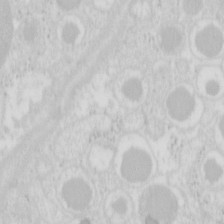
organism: Mouse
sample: Pancreas